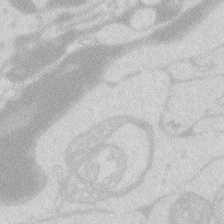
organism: Zebrafish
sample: Macrophage